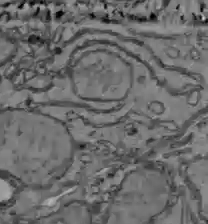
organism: C57BL Mouse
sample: Liver